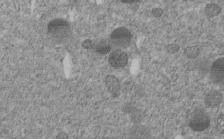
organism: C. elegans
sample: C. elegans embryo early stage